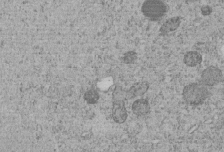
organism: C. elegans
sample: C. elegans embryo early stage